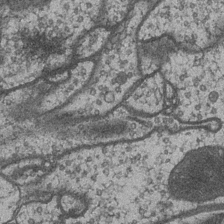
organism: Drosophila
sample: Optic medulla